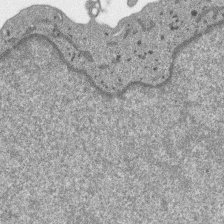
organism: Human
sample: Lung epithelial cells infected with SARS-CoV-2